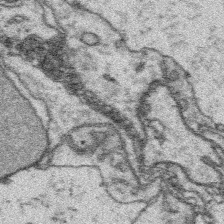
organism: Platynereis dumerilii